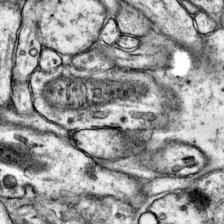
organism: Mouse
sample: Primary visual cortex